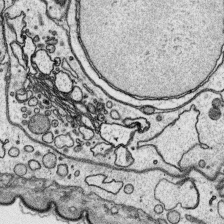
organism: Platynereis dumerilii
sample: Parapodia